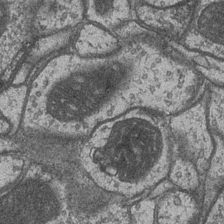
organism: Drosophila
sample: Optic medulla